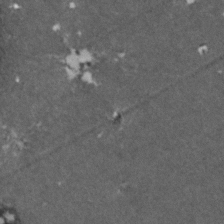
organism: Zebrafish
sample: Zebrafish embryo